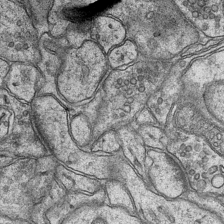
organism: Mouse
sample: CA1 Hippocampus